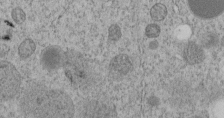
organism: C. elegans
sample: C. elegans embryo early stage